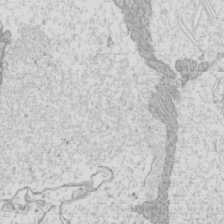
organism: Mouse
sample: Cilia; mouse epididymis